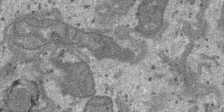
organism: Human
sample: Lung epithelial cells infected with SARS-CoV-2